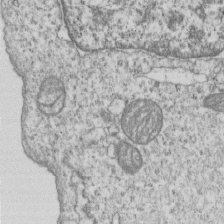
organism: Human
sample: MDA-MB-231 cells